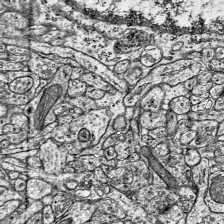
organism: Mouse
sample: Visual Cortex